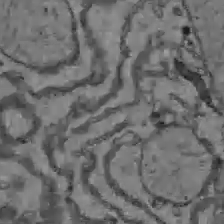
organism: C57BL Mouse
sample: Liver